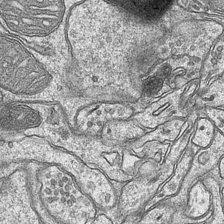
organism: Mouse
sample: CA1 Hippocampus